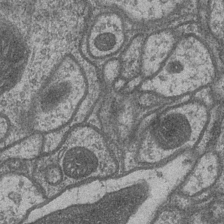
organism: Drosophila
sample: Optic medulla